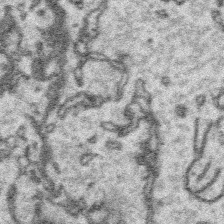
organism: Platynereis dumerilii